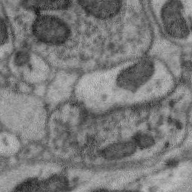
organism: Zebra finch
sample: Brain